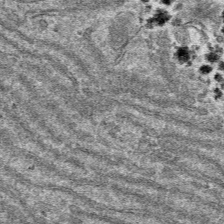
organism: Mouse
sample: Mouse hepatocytes